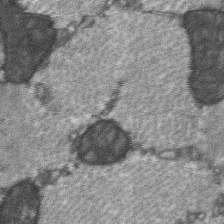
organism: C57BL Mouse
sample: Soleus